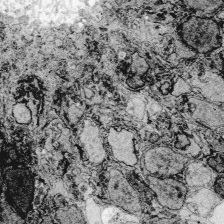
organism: Zebrafish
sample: Whole-Brain